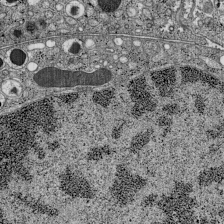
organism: C57BL Mouse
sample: Pancreatic islet